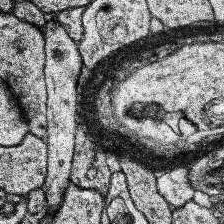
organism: Human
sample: Temporal Lobe